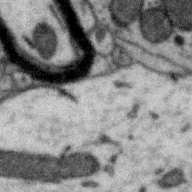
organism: Zebra finch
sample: Brain